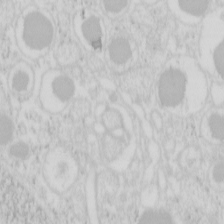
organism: Mouse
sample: Pancreas